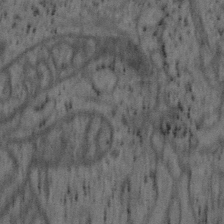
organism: Human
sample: HeLa cells